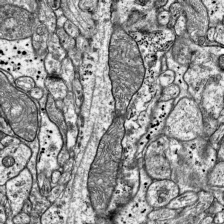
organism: Mouse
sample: Visual Cortex